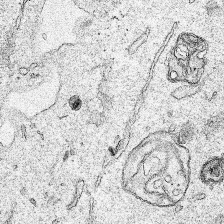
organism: Human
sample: Mitochondria in HCT116 cells